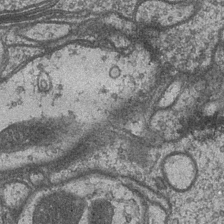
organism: Drosophila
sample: Optic medulla